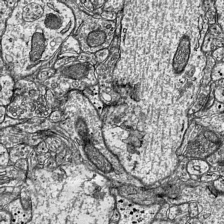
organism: Mouse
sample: Visual Cortex